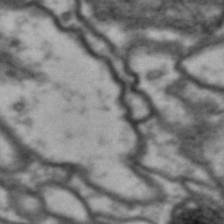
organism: Drosophila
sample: Brain